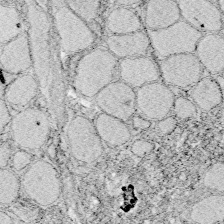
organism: Zebrafish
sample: Whole-Brain